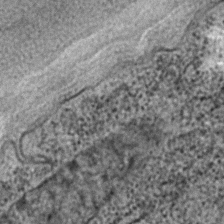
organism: C. elegans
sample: C. elegans embryo